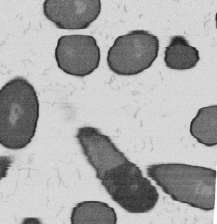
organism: B. subtilis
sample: Bacterial spore